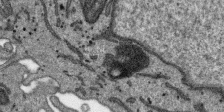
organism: Human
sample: Lung epithelial cells, uninfected (mock) control